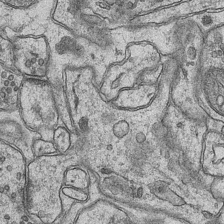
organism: Mouse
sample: CA1 Hippocampus